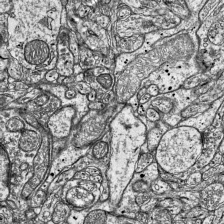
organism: Mouse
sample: Visual Cortex